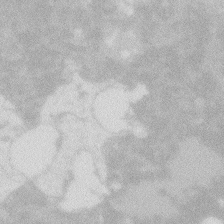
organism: Zebrafish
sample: Macrophage